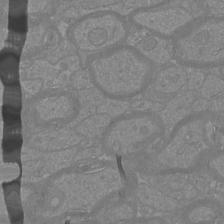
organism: Mouse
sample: Cortical neurons